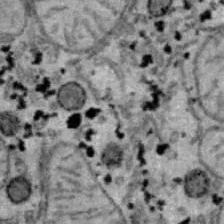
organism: Mouse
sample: Liver from an obese (ob/ob) mouse